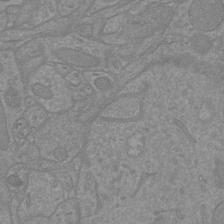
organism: Mouse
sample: Cortical neurons